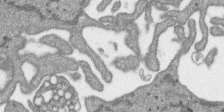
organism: Human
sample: Lung epithelial cells infected with SARS-CoV-2